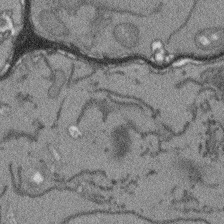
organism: Arabidopsis thaliana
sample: Root tip